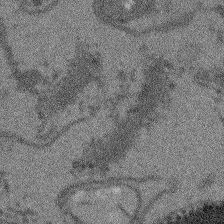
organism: Arabidopsis thaliana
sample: Root tip